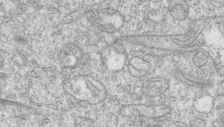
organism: Human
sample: HeLa cell HIV synapse